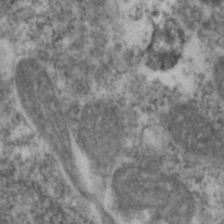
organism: Zebrafish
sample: Zebrafish embryo